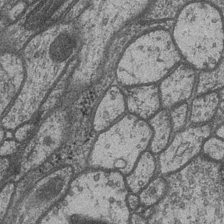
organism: Drosophila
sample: Optic medulla